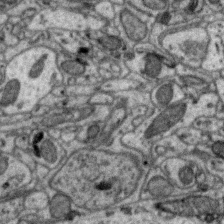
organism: Zebra finch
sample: Brain